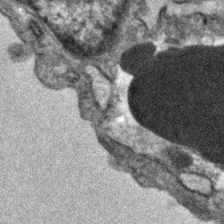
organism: Human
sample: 1205lu cells